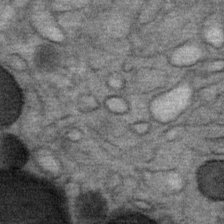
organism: Mouse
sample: Mouse Salivary gland